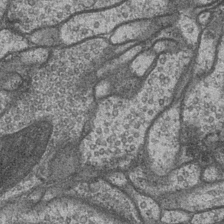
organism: Drosophila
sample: Optic medulla